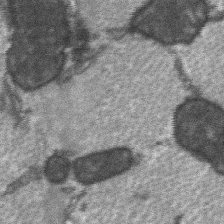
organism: C57BL Mouse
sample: Soleus